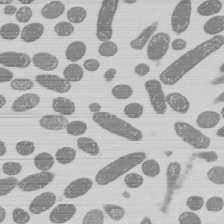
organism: E. coli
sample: Bacterial nucleoid